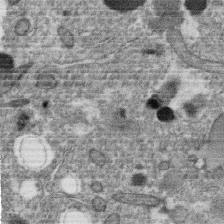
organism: C. elegans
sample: C. elegans oocyte; sperm cells